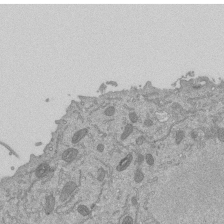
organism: Mouse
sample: ED-1 cell nuclei; centrioles